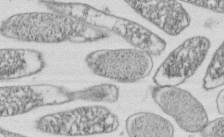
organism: E. coli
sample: Bacterial nucleoid